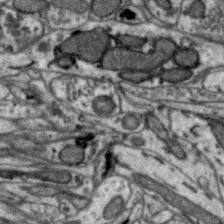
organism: Zebra finch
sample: Brain